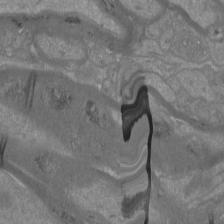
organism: Mouse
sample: Cortical neurons